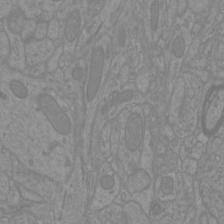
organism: Mouse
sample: Cortical neurons